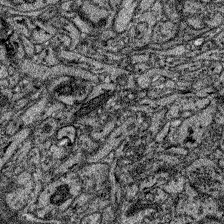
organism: Zebrafish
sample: Larval olfactory bulb